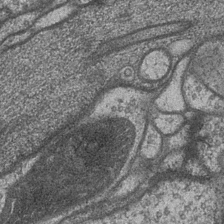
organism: Drosophila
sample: Optic medulla